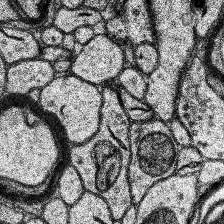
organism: Human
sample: Temporal Lobe